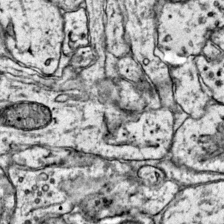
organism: Mouse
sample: Primary visual cortex